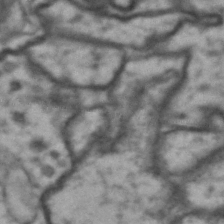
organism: Drosophila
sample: Brain